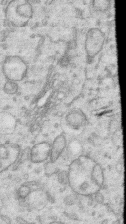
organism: Human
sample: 1205lu cells